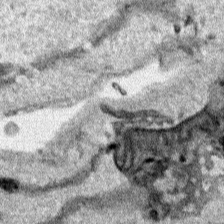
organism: Human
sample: Mitochondria in HCT116 cells